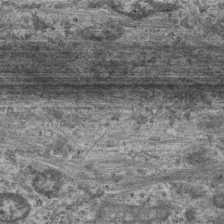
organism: Mouse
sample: Centriole in ependymal cells